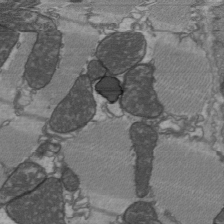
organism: C57BL Mouse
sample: Heart